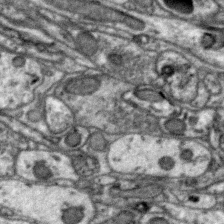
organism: Zebra finch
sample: Brain